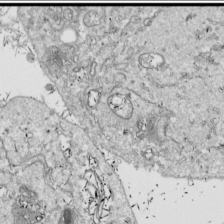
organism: Drosophila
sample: Cell division; meiosis; drosophila spermatocytes